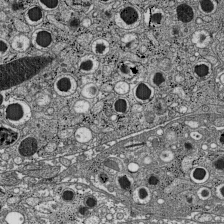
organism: C57BL Mouse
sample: Pancreatic islet